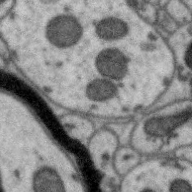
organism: Zebra finch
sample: Brain